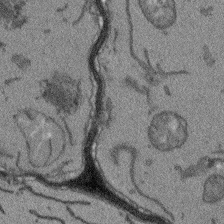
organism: Arabidopsis thaliana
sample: Root tip